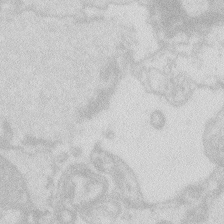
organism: Zebrafish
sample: Macrophage